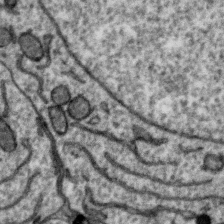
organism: Zebra finch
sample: Brain